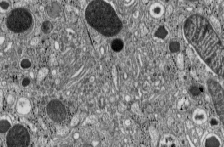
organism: C57BL Mouse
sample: Pancreatic islet